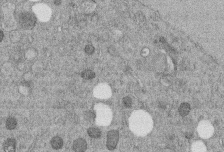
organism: C. elegans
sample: C. elegans embryo early stage